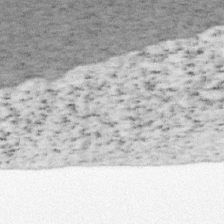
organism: Mouse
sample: OT-I killer T cells with ID8 ovarian cancer cells